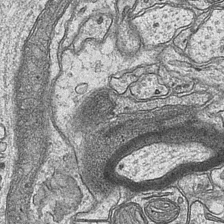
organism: Mouse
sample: CA1 Hippocampus